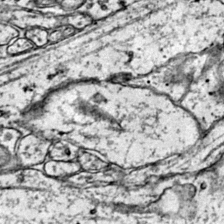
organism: Mouse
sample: Primary visual cortex